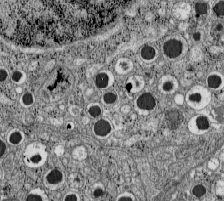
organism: C57BL Mouse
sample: Pancreatic islet